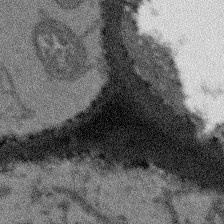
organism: Arabidopsis thaliana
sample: Root tip